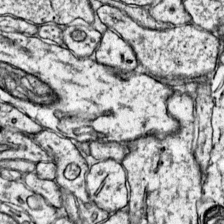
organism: Mouse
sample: Primary visual cortex